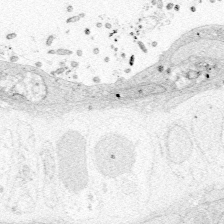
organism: Zebrafish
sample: Whole-Brain